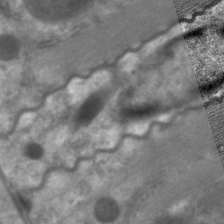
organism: C. elegans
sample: Pharynx